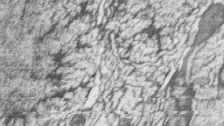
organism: Zebrafish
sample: synaptic ribbons in rod cells and cone cells